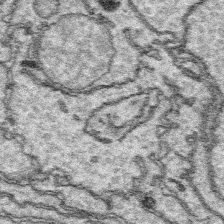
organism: Platynereis dumerilii